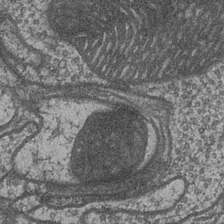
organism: Drosophila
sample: Optic medulla